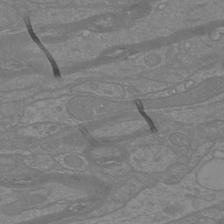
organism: Mouse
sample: Cortical neurons